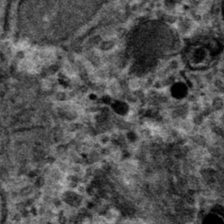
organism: Mouse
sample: Mouse hepatocytes